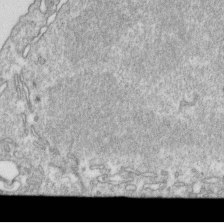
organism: Mouse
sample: Activated OT-1 CD8+ T cells